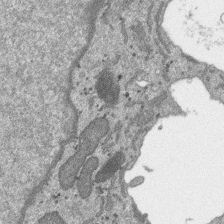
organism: Human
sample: Lung epithelial cells infected with SARS-CoV-2